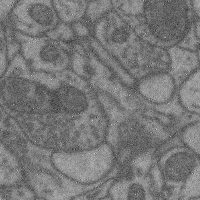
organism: Mouse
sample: Cerebral cortex